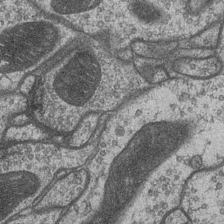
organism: Drosophila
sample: Optic medulla